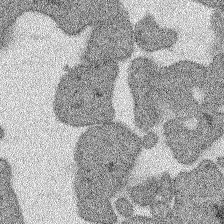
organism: Human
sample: HeLa cells